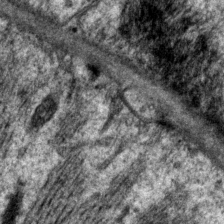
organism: P. pacificus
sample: Pharynx